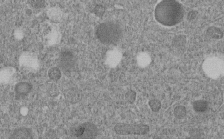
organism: C. elegans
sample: C. elegans embryo early stage